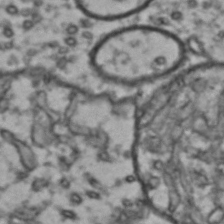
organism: Drosophila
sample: Brain